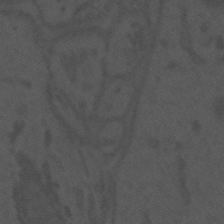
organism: Mouse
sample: Suprachiasmatic nucleus